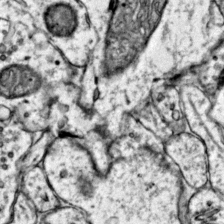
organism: Mouse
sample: Primary visual cortex